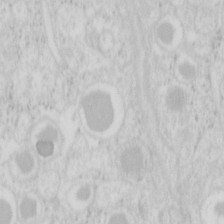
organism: Mouse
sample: Pancreas